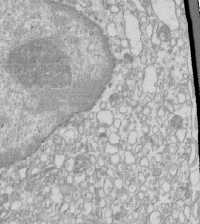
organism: Mouse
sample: Macrophages